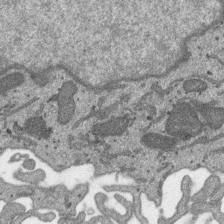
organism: Human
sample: Lung epithelial cells infected with SARS-CoV-2